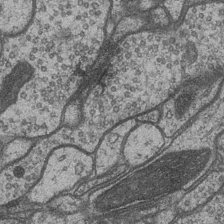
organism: Drosophila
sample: Optic medulla